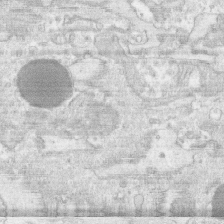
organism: Human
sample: CRL-1474